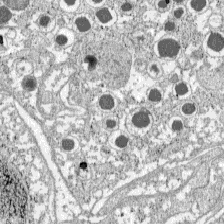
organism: C57BL Mouse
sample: Pancreatic islet